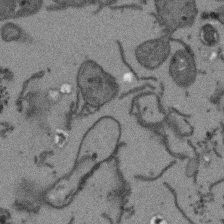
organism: Arabidopsis thaliana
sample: Root tip